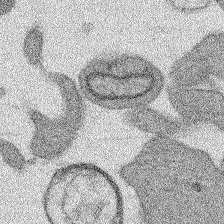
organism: Human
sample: HeLa cells